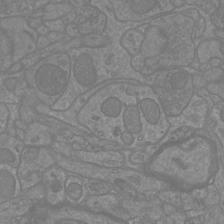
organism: Mouse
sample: Cortical neurons